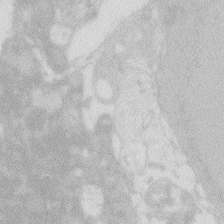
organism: Zebrafish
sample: Macrophage